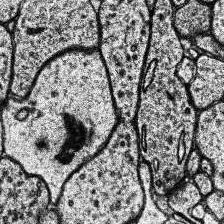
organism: Human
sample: Temporal Lobe